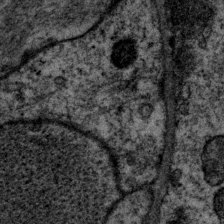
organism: P. pacificus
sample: Pharynx